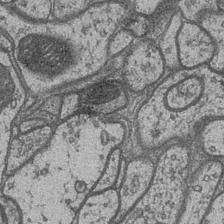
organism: Drosophila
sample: Optic medulla